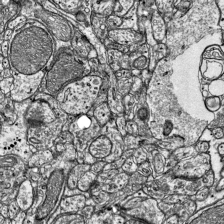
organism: Mouse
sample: Visual Cortex